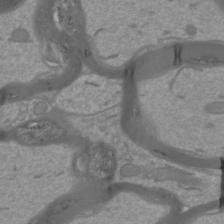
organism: Mouse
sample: Cortical neurons